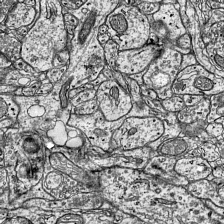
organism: Mouse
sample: Visual Cortex